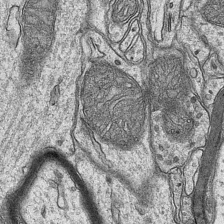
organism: Mouse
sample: CA1 Hippocampus